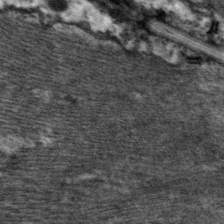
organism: C. elegans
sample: Pharynx